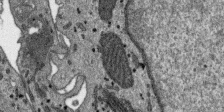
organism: Human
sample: Lung epithelial cells, uninfected (mock) control